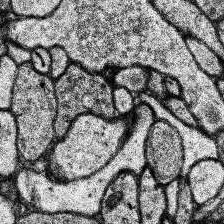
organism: Human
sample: Temporal Lobe